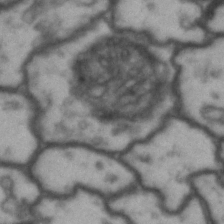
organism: Drosophila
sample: Brain